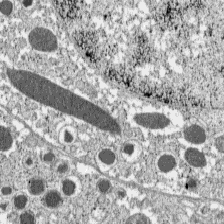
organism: C57BL Mouse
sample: Pancreatic islet